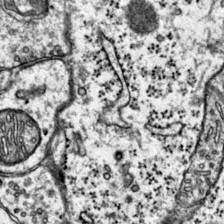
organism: Mouse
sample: Primary visual cortex